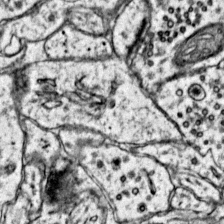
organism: Mouse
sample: Primary visual cortex